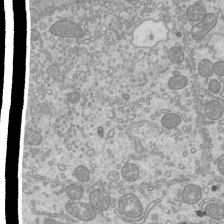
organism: Mouse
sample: Cilia; mouse epididymis